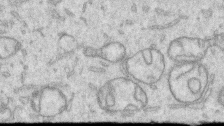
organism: Human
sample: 1205lu cells